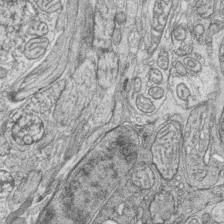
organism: Zebrafish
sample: synaptic ribbons in rod cells and cone cells